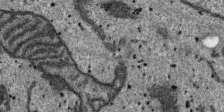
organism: Human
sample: Lung epithelial cells, uninfected (mock) control